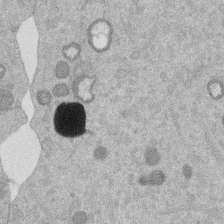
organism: Mouse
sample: Dividing mouse embryo 1 cell stage